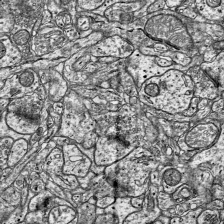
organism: Mouse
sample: Visual Cortex